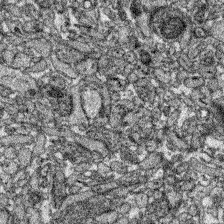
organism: Zebrafish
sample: Larval olfactory bulb